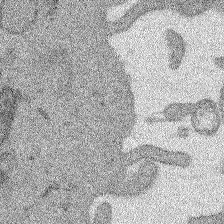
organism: Human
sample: HeLa cells